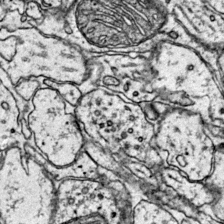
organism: Mouse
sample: Primary visual cortex